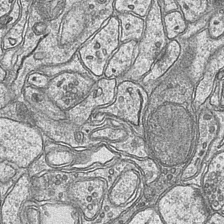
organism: Mouse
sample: CA1 Hippocampus